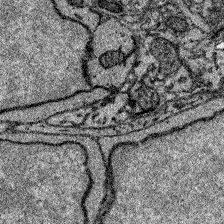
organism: Zebrafish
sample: Larval olfactory bulb